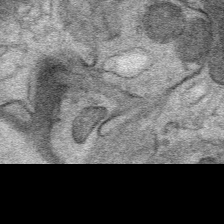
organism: Mouse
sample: Mouse Salivary gland